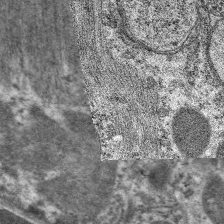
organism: C. elegans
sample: Pharynx